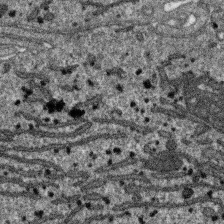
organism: Human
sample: Lung epithelial cells infected with SARS-CoV-2